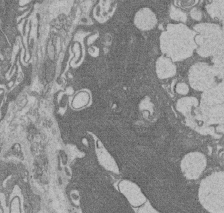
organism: Rat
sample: Salivary granule